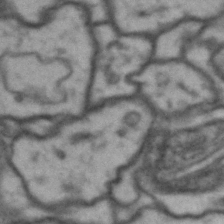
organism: Drosophila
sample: Brain